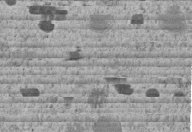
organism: C. elegans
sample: C. elegans embryo early stage